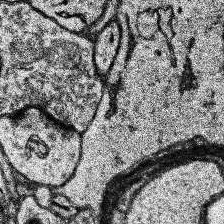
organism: Human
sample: Temporal Lobe